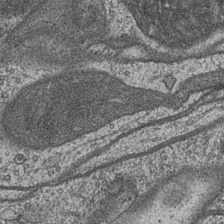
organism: Drosophila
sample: Optic medulla